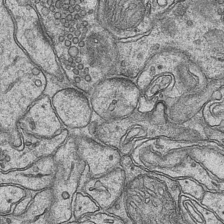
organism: Mouse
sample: CA1 Hippocampus